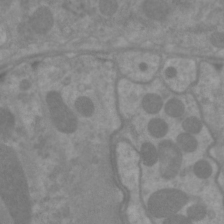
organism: C. elegans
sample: Pharynx